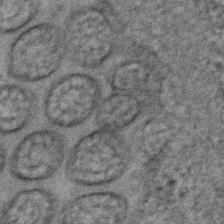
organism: C. elegans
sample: C. elegans embryo